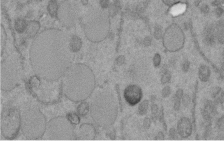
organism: C. elegans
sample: C. elegans embryo early stage